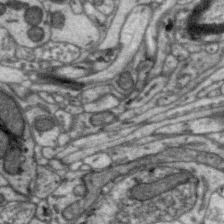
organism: Zebra finch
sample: Brain